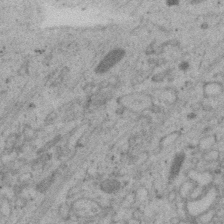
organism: Human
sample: HeLa cells